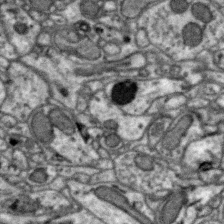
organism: Zebra finch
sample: Brain